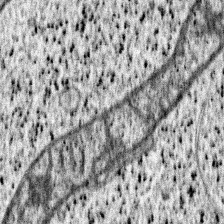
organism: Human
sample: HeLa cells